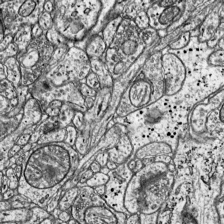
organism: Mouse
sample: Visual Cortex